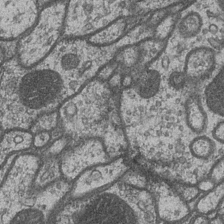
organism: Drosophila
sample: Optic medulla